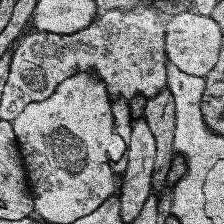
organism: Human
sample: Temporal Lobe